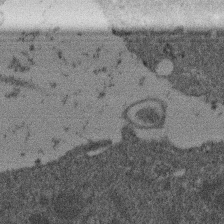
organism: Mouse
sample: Dividing mouse embryo 1 cell stage